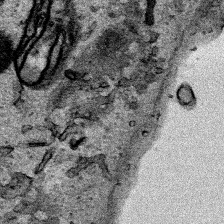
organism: Human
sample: Mitochondria in HCT116 cells